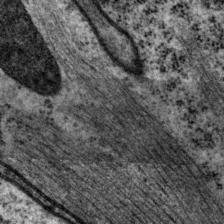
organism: P. pacificus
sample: Pharynx